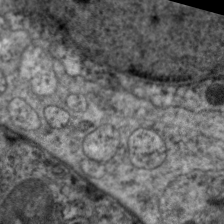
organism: C. elegans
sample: Pharynx